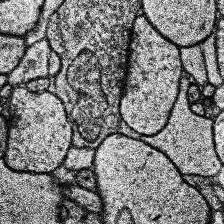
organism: Human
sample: Temporal Lobe